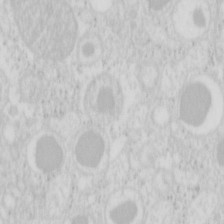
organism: Mouse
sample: Pancreas